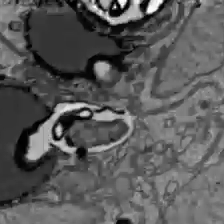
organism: C57BL Mouse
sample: Liver